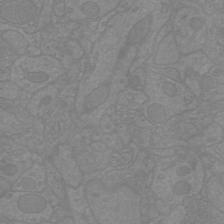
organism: Mouse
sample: Cortical neurons